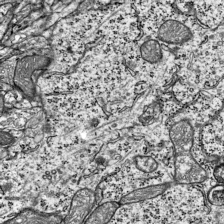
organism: Mouse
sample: Visual Cortex